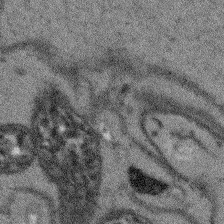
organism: Arabidopsis thaliana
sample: Root tip